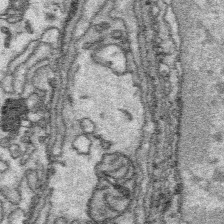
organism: Platynereis dumerilii